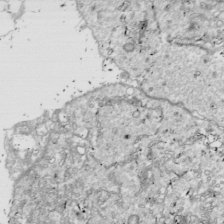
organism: Drosophila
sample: Cell division; meiosis; drosophila spermatocytes